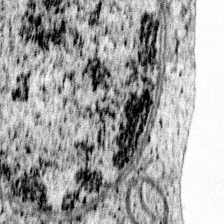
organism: Human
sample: HeLa cells